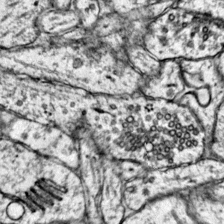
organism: Mouse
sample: Primary visual cortex